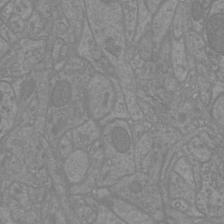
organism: Mouse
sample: Cortical neurons